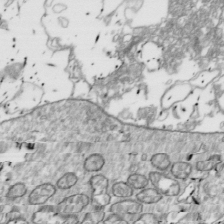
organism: Drosophila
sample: Cell division; meiosis; drosophila spermatocytes